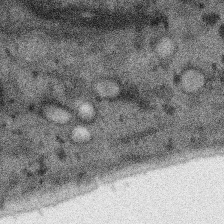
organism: Human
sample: Lung epithelial cells infected with SARS-CoV-2